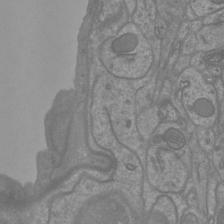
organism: Mouse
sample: Cortical neurons